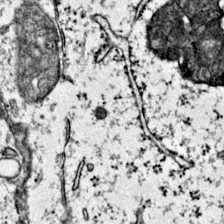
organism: Mouse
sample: Primary visual cortex